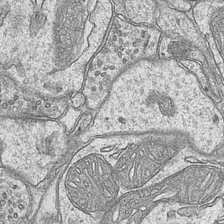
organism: Mouse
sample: CA1 Hippocampus